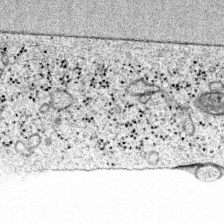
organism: Human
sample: HeLa cells